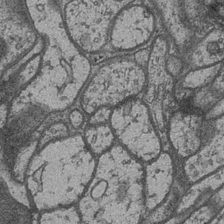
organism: Drosophila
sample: Optic medulla